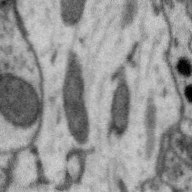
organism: Zebra finch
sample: Brain